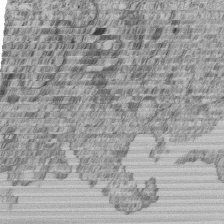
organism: Human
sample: MDA-MB-231 cells